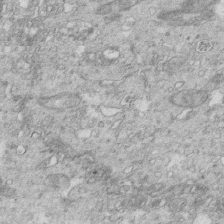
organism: Mouse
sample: Multiciliated cells